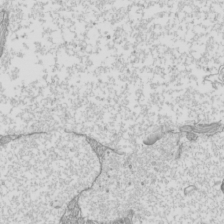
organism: Mouse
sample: Cilia; mouse epididymis